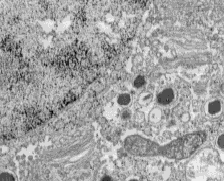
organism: C57BL Mouse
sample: Pancreatic islet